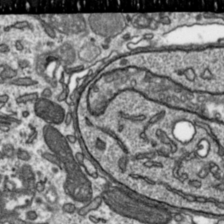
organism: Toxoplasma gondii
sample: Parasites in a vacuole inside a host cell